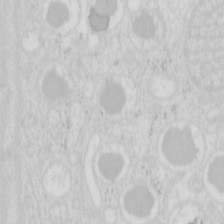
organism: Mouse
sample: Pancreas